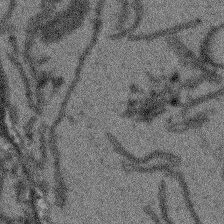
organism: Arabidopsis thaliana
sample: Root tip